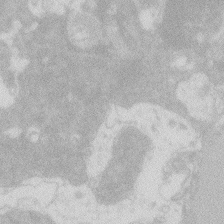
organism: Zebrafish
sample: Macrophage